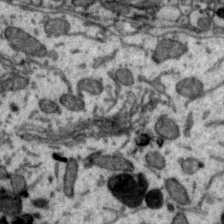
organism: Zebra finch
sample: Brain